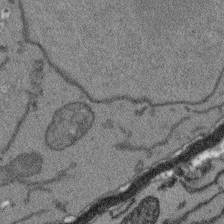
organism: Arabidopsis thaliana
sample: Root tip